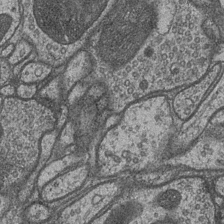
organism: Drosophila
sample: Optic medulla